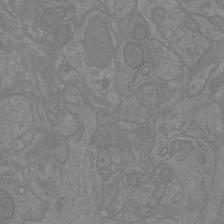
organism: Mouse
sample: Cortical neurons